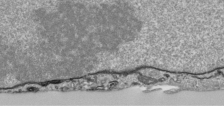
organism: Human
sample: Mitochondria in HCT116 cells